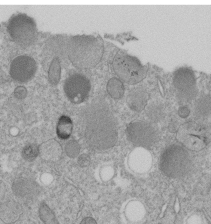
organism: C. elegans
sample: C. elegans embryo early stage